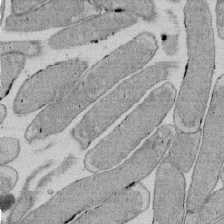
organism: E. coli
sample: Bacterial nucleoid